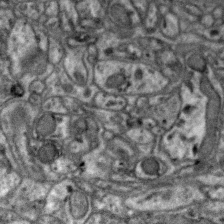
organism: Zebra finch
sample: Brain